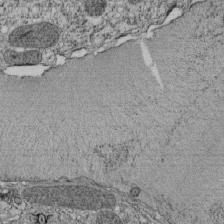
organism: Tetrahymena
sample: Cilia in tetrahymena